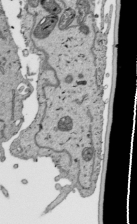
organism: Human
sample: Mitochondria in HCT116 cells